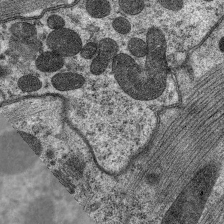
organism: C. elegans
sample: Pharynx